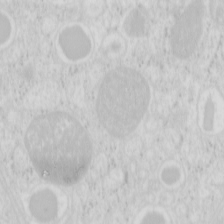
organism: Mouse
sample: Pancreas